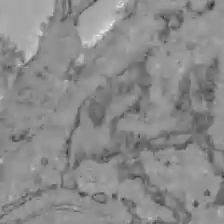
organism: C57BL Mouse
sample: Liver